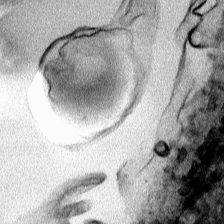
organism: Human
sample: Mitochondria in HCT116 cells